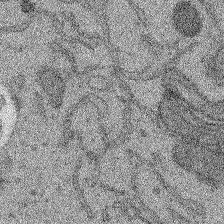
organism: Human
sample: HeLa cells